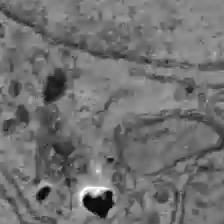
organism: C57BL Mouse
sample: Liver